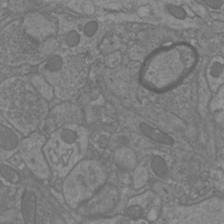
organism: Mouse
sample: Cortical neurons